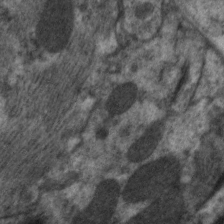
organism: C. elegans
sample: Pharynx